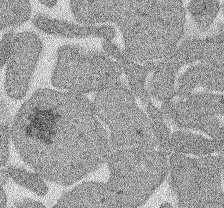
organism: Human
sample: HeLa cells